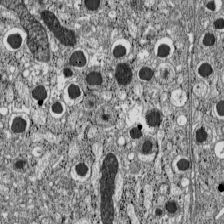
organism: C57BL Mouse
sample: Pancreatic islet